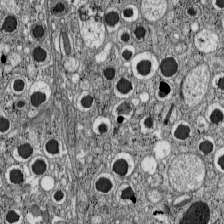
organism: C57BL Mouse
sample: Pancreatic islet